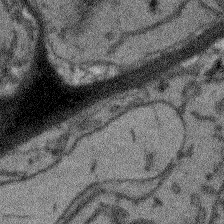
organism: Arabidopsis thaliana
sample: Root tip